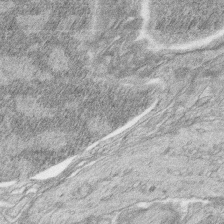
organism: Zebrafish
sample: synaptic ribbons in rod cells and cone cells